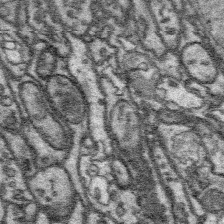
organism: Platynereis dumerilii